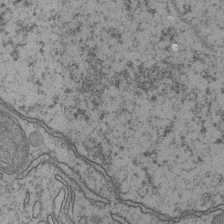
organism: Mouse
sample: CA1 Hippocampus